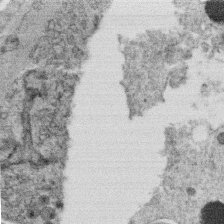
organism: C. elegans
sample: C. elegans oocyte; sperm cells